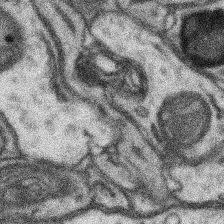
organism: Mouse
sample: Somatosensory cortex neuropil